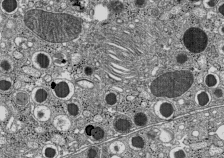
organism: C57BL Mouse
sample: Pancreatic islet